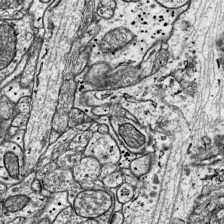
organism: Mouse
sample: Visual Cortex